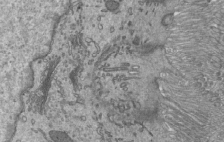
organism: Mouse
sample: Mouse epididymis efferent ductule cilia